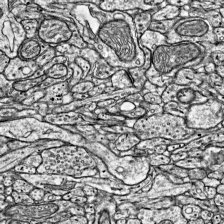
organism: Mouse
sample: Visual Cortex